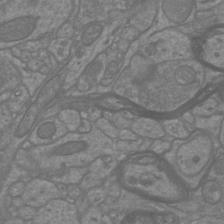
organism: Mouse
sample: Cortical neurons